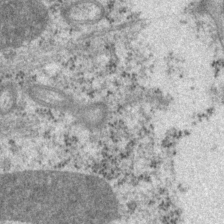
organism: P. pacificus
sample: Pharynx